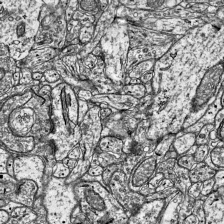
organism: Mouse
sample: Visual Cortex